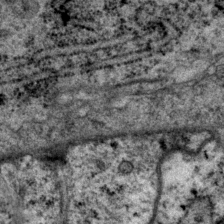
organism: P. pacificus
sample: Pharynx